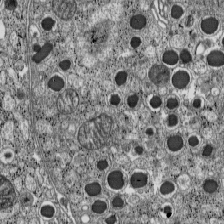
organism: C57BL Mouse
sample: Pancreatic islet